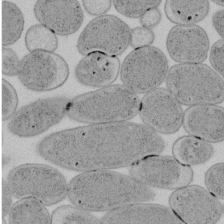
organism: E. coli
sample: Bacterial nucleoid